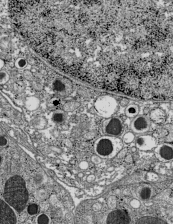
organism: C57BL Mouse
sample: Pancreatic islet